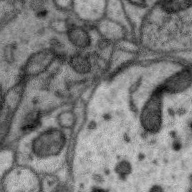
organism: Zebra finch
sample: Brain